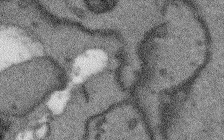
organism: Arabidopsis thaliana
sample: Root tip